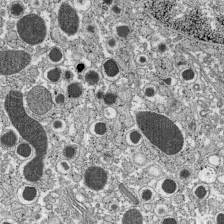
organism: C57BL Mouse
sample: Pancreatic islet